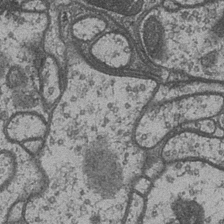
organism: Drosophila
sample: Optic medulla